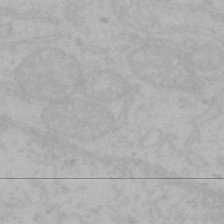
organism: Mouse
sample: Choroid plexus